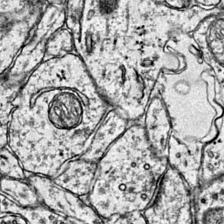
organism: Mouse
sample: Primary visual cortex